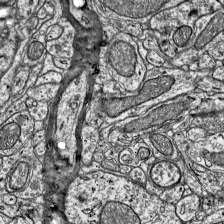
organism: Mouse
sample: Visual Cortex